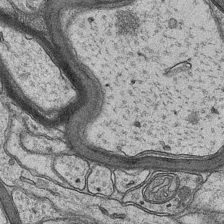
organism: Mouse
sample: CA1 Hippocampus